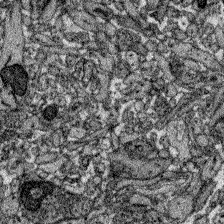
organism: Zebrafish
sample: Larval olfactory bulb